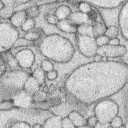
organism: Rabbit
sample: Retina